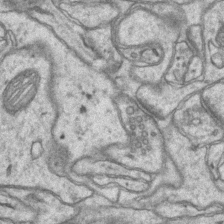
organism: Mouse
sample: CA1 Hippocampus